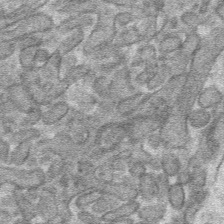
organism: Mouse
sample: Mouse hepatocytes